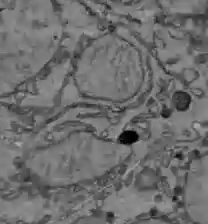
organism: C57BL Mouse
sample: Liver